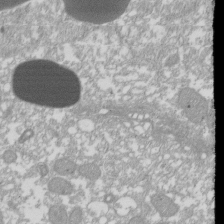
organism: Xenopus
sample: Cilia; centrioles in frog embryo cells